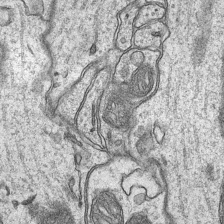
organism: Mouse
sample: CA1 Hippocampus